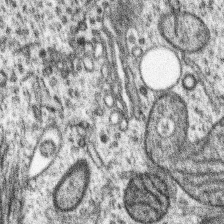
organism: Human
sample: HeLa cells